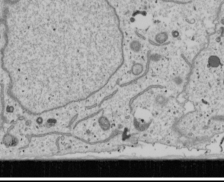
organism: Human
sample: Mitochondria in U2OS cells